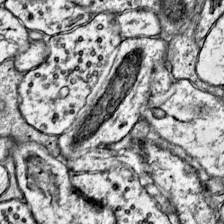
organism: Mouse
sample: Primary visual cortex